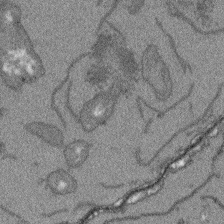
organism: Arabidopsis thaliana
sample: Root tip